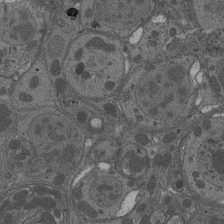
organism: Drosophila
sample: Antenna